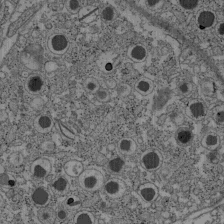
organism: C57BL Mouse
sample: Pancreatic islet